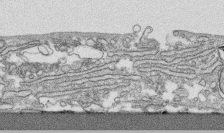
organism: Human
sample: CRL-1474